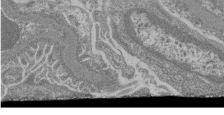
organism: Mouse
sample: Glomerulus